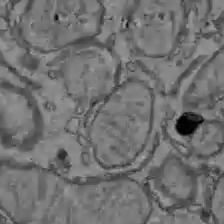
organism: C57BL Mouse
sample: Liver